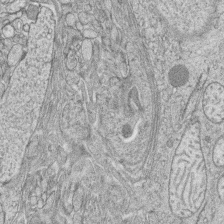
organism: Zebrafish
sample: synaptic ribbons in rod cells and cone cells